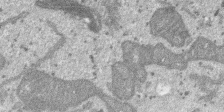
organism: Human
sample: Lung epithelial cells infected with SARS-CoV-2